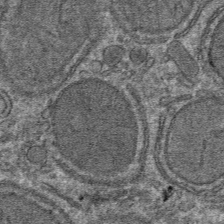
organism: Mouse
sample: Mouse hepatocytes